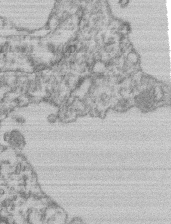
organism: Mouse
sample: T cell stromal cell synapse